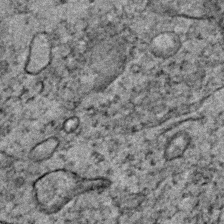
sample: Trachea